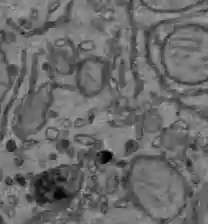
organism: C57BL Mouse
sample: Liver